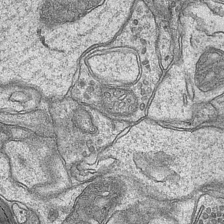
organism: Mouse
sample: CA1 Hippocampus